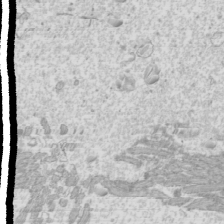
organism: Mouse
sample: Cilia; mouse epididymis